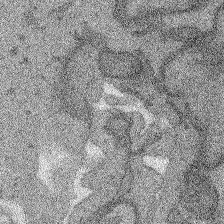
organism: Human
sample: HeLa cells